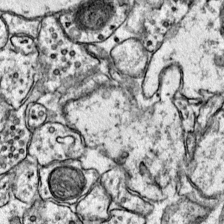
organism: Mouse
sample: Primary visual cortex